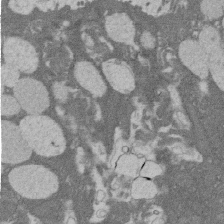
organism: Rat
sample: Salivary granule